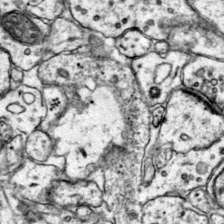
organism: Mouse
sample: Primary visual cortex